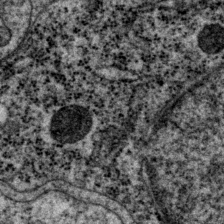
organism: P. pacificus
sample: Pharynx